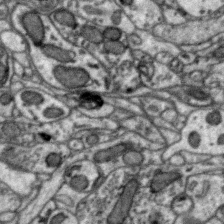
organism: Zebra finch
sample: Brain